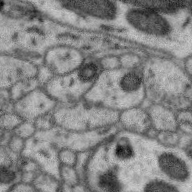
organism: Zebra finch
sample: Brain